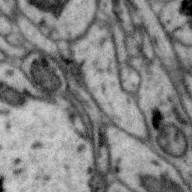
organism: Zebra finch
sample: Brain